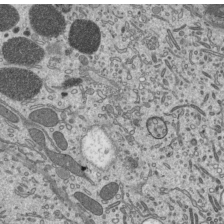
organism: Mouse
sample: Mouse epididymis efferent ductule cilia